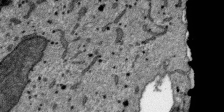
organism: Human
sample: Lung epithelial cells, uninfected (mock) control